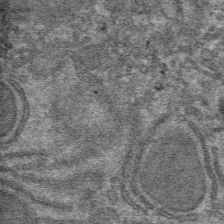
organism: Mouse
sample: Mouse hepatocytes